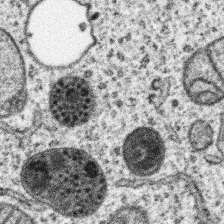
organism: Human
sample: HeLa cells